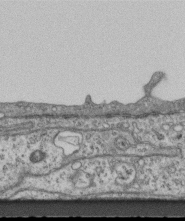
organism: Mouse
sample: Centriole in ependymal cells